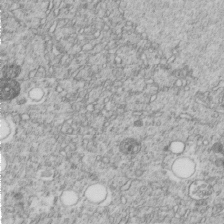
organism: C. elegans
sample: C. elegans embryo early stage